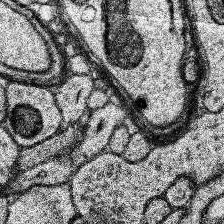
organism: Human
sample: Temporal Lobe